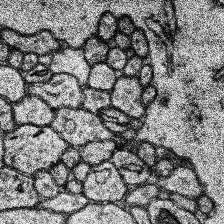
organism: Human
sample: Temporal Lobe